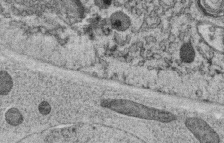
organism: C. elegans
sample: C. elegans oocyte; sperm cells